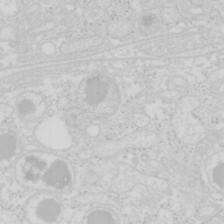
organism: Mouse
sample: Pancreas